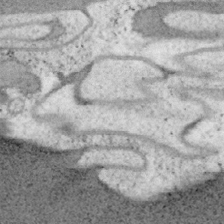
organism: Mouse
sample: OT-I killer T cells with ID8 ovarian cancer cells